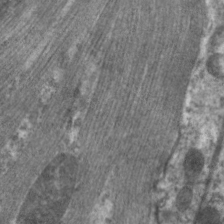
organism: C. elegans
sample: Pharynx